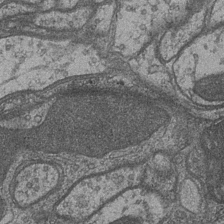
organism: Drosophila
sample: Optic medulla